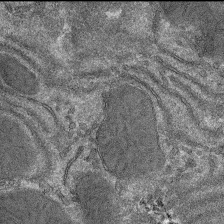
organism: Mouse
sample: Mouse hepatocytes